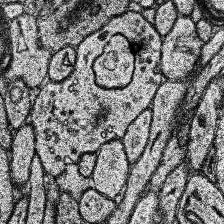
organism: Human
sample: Temporal Lobe